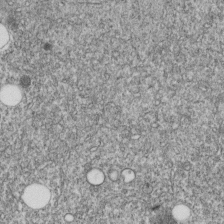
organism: C. elegans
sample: C. elegans embryo early stage